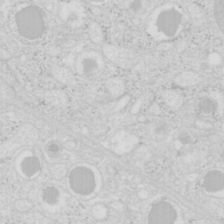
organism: Mouse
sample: Pancreas